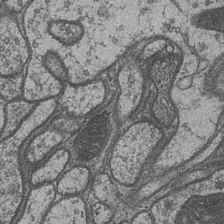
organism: Drosophila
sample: Optic medulla